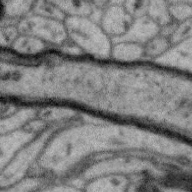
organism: Zebra finch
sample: Brain